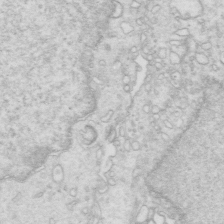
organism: Mouse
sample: Multiciliated cells